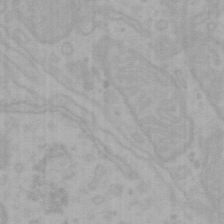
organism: Mouse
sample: Choroid plexus